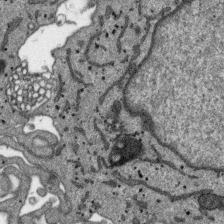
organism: Human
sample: Lung epithelial cells, uninfected (mock) control